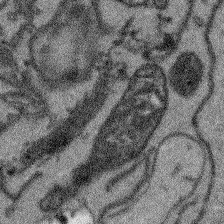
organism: Arabidopsis thaliana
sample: Root tip